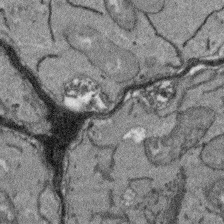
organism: Arabidopsis thaliana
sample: Root tip